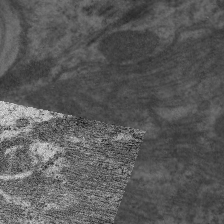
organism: C. elegans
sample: Pharynx